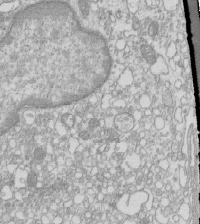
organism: Mouse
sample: Macrophages